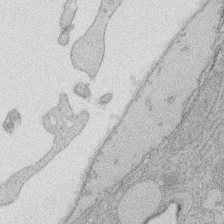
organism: Rat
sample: Salivary granule